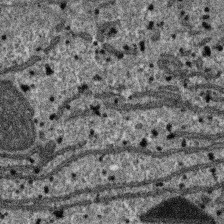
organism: Human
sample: Lung epithelial cells infected with SARS-CoV-2